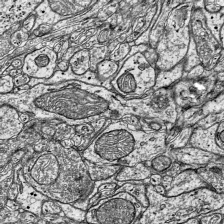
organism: Mouse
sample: Visual Cortex